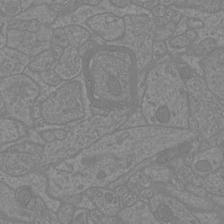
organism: Mouse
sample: Cortical neurons